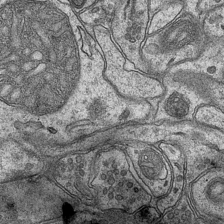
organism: Mouse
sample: CA1 Hippocampus